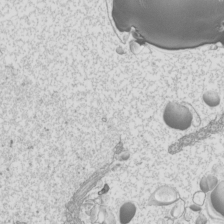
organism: Mouse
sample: Cilia; mouse epididymis